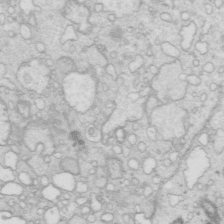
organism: Mouse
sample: Multiciliated cells